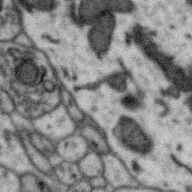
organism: Zebra finch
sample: Brain